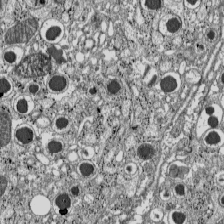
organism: C57BL Mouse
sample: Pancreatic islet